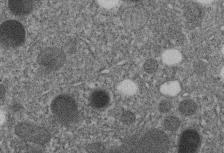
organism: C. elegans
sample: C. elegans embryo early stage